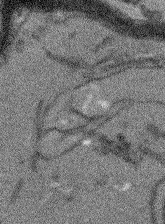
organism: Arabidopsis thaliana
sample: Root tip